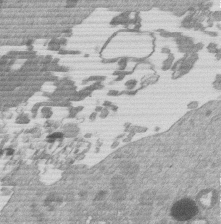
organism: Mouse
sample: Dividing mouse embryo 1 cell stage